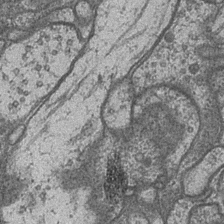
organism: Drosophila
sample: Optic medulla